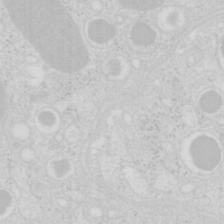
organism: Mouse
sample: Pancreas